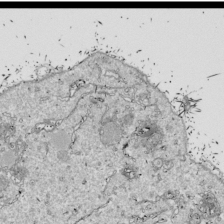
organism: Drosophila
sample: Cell division; meiosis; drosophila spermatocytes